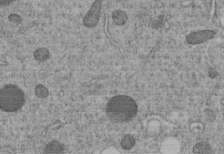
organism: C. elegans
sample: C. elegans embryo early stage